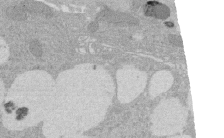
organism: Rat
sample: Salivary granule